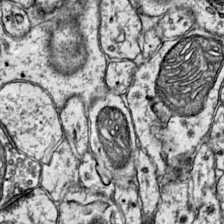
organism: Mouse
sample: Primary visual cortex